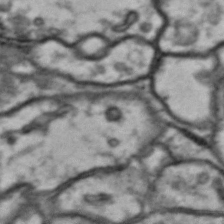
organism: Drosophila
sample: Brain